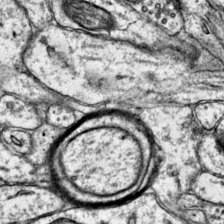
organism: Mouse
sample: Primary visual cortex